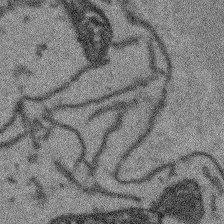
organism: Arabidopsis thaliana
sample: Root tip